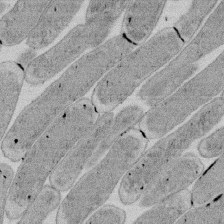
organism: E. coli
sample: Bacterial nucleoid